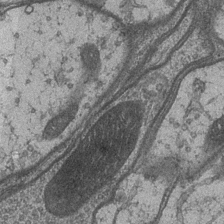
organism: Drosophila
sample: Optic medulla